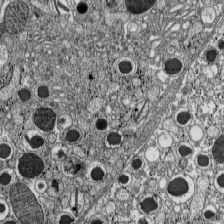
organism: C57BL Mouse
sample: Pancreatic islet